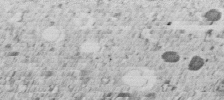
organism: C. elegans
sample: C. elegans embryo early stage